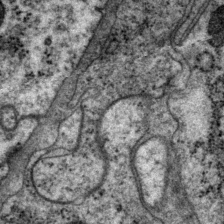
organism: P. pacificus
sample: Pharynx